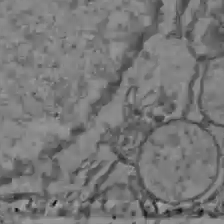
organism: C57BL Mouse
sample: Liver